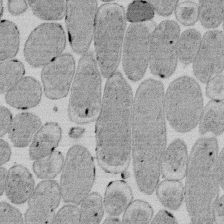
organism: E. coli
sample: Bacterial nucleoid